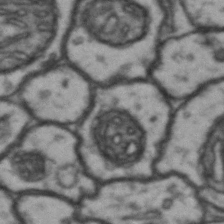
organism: Drosophila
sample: Brain